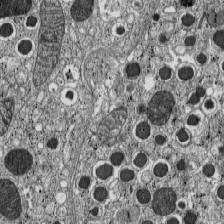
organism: C57BL Mouse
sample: Pancreatic islet